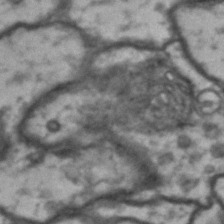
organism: Drosophila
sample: Brain